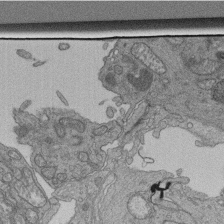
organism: Human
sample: Retinal organoid Rod and Cone cells